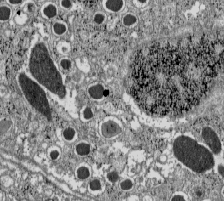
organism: C57BL Mouse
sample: Pancreatic islet